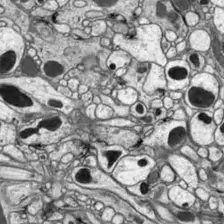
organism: Drosophila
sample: Optic lobe